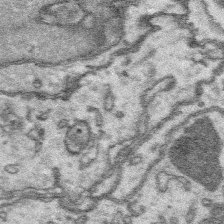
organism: Platynereis dumerilii